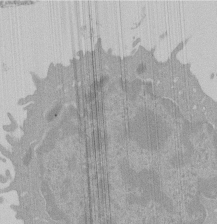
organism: Mouse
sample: Activated Pmel transgenic CD8+ T Cells